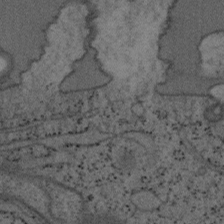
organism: Human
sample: HeLa cells